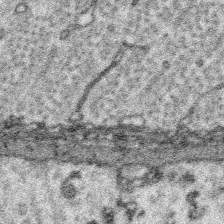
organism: Platynereis dumerilii